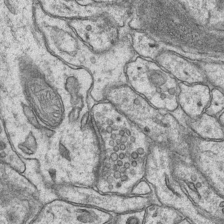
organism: Mouse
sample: CA1 Hippocampus